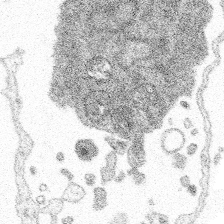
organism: Spongilla lacustris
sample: Multiple